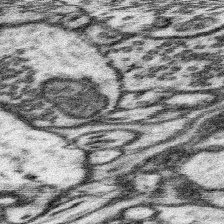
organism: Mouse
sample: Somatosensory cortex neuropil